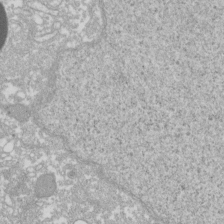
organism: Xenopus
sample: Cilia; centrioles in frog embryo cells